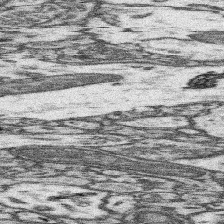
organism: Mouse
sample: Somatosensory cortex neuropil